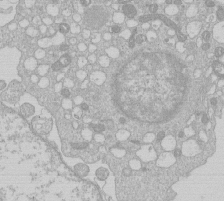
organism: Human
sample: Macrophage cells